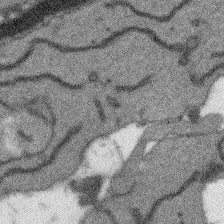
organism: Arabidopsis thaliana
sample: Root tip